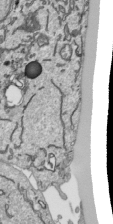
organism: Human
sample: Mitochondria in HCT116 cells